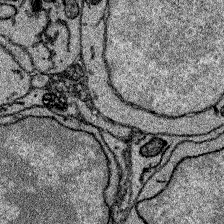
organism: Zebrafish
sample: Larval olfactory bulb